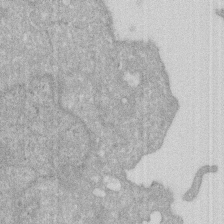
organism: Human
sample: HIV infected U937 cells